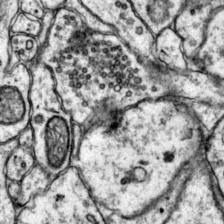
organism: Mouse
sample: Primary visual cortex